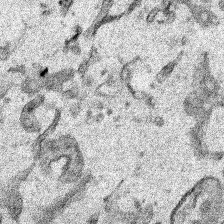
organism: Human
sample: Mitochondria in HCT116 cells